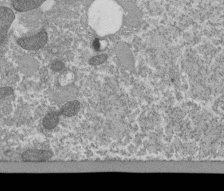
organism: Tetrahymena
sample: Cilia in tetrahymena